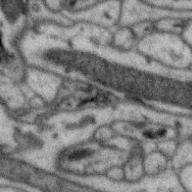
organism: Zebra finch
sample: Brain